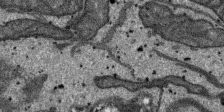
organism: Human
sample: Lung epithelial cells, uninfected (mock) control